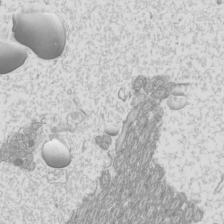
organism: Mouse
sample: Cilia; mouse epididymis